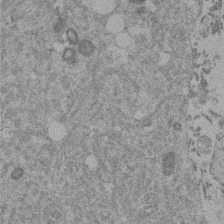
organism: Mouse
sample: Dividing mouse embryo 1 cell stage